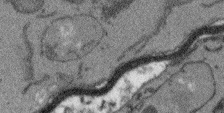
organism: Arabidopsis thaliana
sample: Root tip